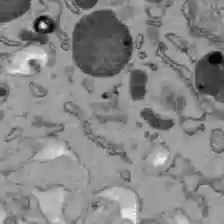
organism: C57BL Mouse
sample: Liver